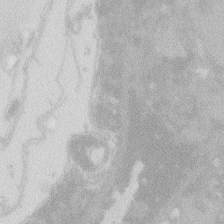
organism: Zebrafish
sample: Macrophage